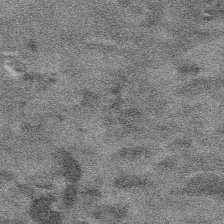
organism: Platynereis dumerilii